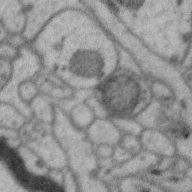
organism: Zebra finch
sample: Brain